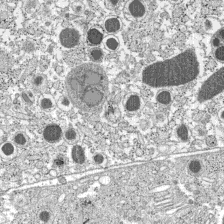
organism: C57BL Mouse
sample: Pancreatic islet